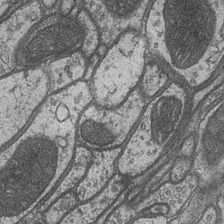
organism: Drosophila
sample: Optic medulla